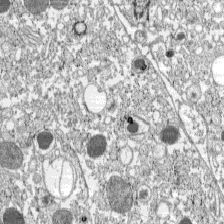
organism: C57BL Mouse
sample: Pancreatic islet